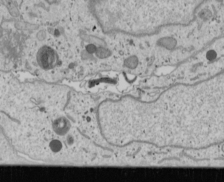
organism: Human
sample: Mitochondria in U2OS cells